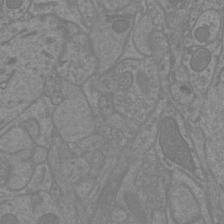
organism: Mouse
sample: Cortical neurons